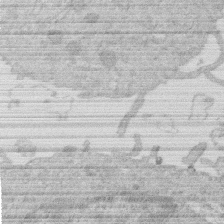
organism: Human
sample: Macrophage cells